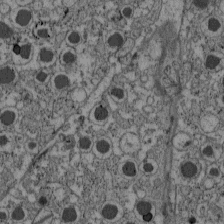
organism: C57BL Mouse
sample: Pancreatic islet